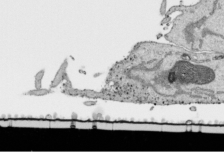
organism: Human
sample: Mitochondria in HCT116 cells